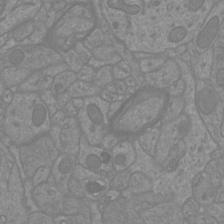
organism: Mouse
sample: Cortical neurons